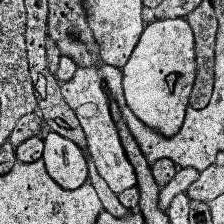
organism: Human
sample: Temporal Lobe